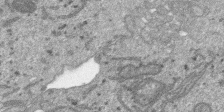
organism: Human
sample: Lung epithelial cells infected with SARS-CoV-2